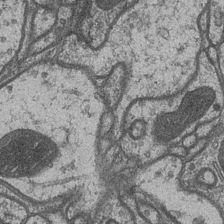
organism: Drosophila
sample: Optic medulla